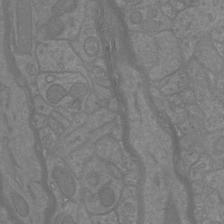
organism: Mouse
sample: Cortical neurons